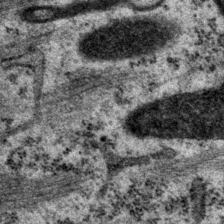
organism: P. pacificus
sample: Pharynx